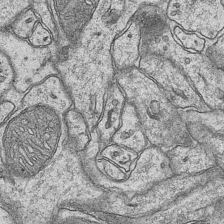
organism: Mouse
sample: CA1 Hippocampus